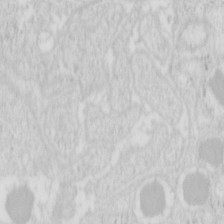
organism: Mouse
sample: Pancreas